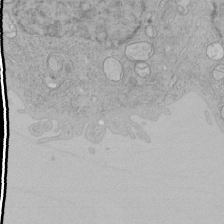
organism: Human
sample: Mitochondria in HCT116 cells